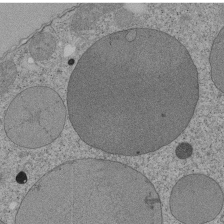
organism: Tetrahymena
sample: Cilia in tetrahymena